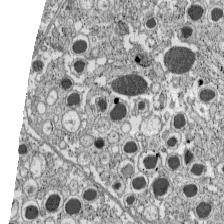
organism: C57BL Mouse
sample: Pancreatic islet